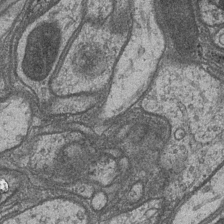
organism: Drosophila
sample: Optic medulla